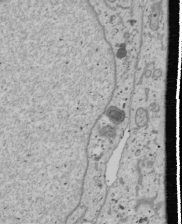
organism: Human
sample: Mitochondria in U2OS cells